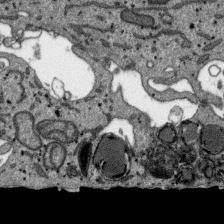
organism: Human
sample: Lung epithelial cells, uninfected (mock) control